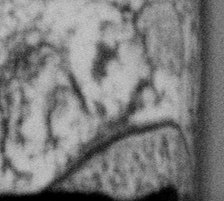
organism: Gemmata obscuriglobus